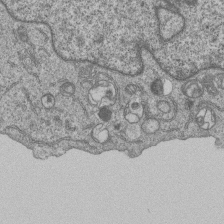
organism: Human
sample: MDA-MB-231 cells